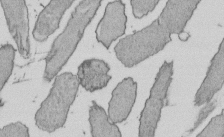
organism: E. coli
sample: Bacterial nucleoid